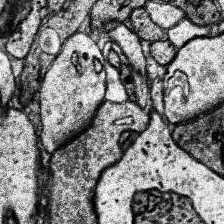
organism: Human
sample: Temporal Lobe